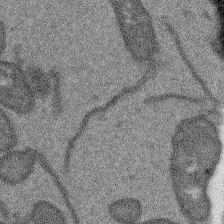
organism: Arabidopsis thaliana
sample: Root tip